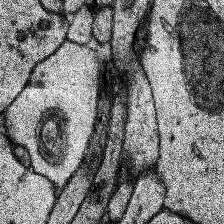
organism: Human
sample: Temporal Lobe